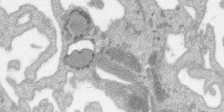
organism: Human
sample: Lung epithelial cells infected with SARS-CoV-2